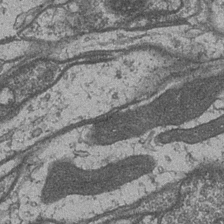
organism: Drosophila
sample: Optic medulla